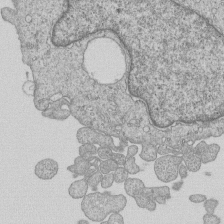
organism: Human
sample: MDA-MB-231 cells